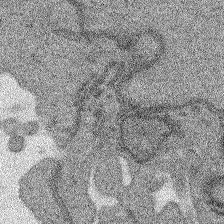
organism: Human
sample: HeLa cells